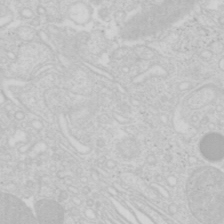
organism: Mouse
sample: Pancreas